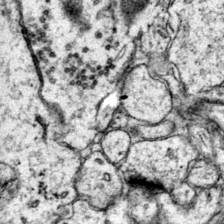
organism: Mouse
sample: Primary visual cortex